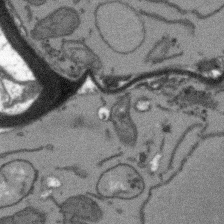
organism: Arabidopsis thaliana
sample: Root tip